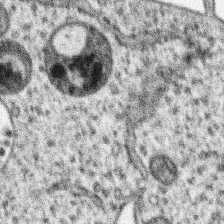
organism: Human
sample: HeLa cells